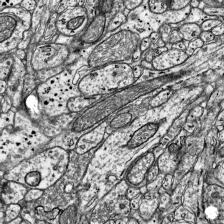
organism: Mouse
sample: Visual Cortex